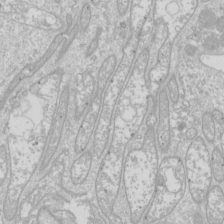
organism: Drosophila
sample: Cell division; meiosis; drosophila spermatocytes